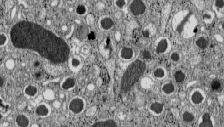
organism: C57BL Mouse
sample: Pancreatic islet